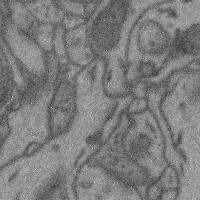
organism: Mouse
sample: Cerebral cortex